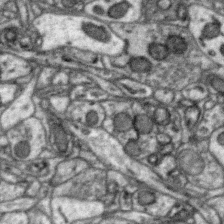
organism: Zebra finch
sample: Brain